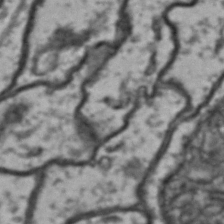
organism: Drosophila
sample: Brain